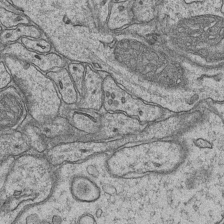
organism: Mouse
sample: CA1 Hippocampus